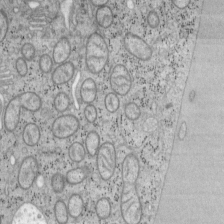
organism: Mouse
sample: OT-I killer T cells with ID8 ovarian cancer cells